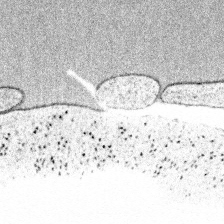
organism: Human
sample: HeLa cells